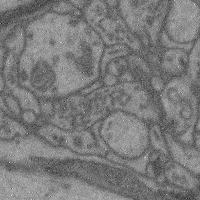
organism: Mouse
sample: Cerebral cortex